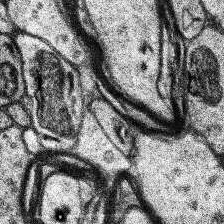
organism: Human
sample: Temporal Lobe